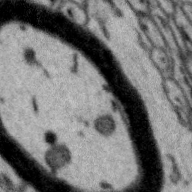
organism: Zebra finch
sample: Brain